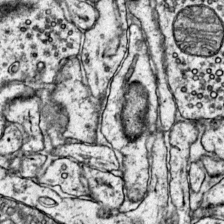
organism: Mouse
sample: Primary visual cortex